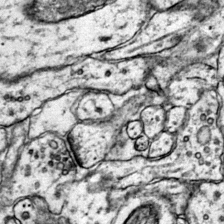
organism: Mouse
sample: Primary visual cortex